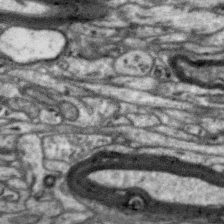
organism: Zebra finch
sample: Brain